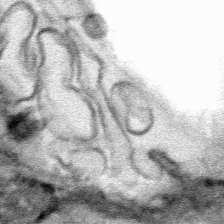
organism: Human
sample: Mitochondria in HCT116 cells